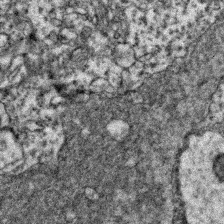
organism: Zebrafish